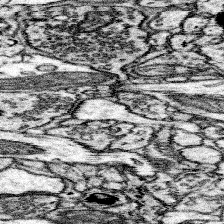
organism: Mouse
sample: Somatosensory cortex neuropil